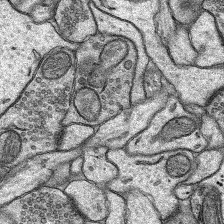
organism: Rat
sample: Hippocampus